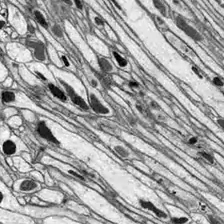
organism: Drosophila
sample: Optic lobe